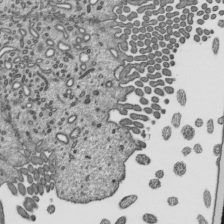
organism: Mouse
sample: Mouse epididymis efferent ductule cilia